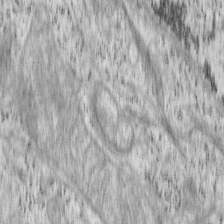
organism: Human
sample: HeLa cells